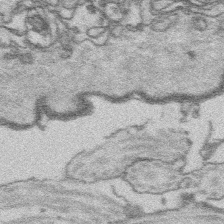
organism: Platynereis dumerilii